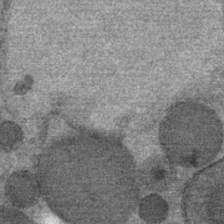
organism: Mouse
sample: Mouse Salivary gland